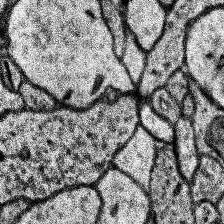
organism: Human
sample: Temporal Lobe